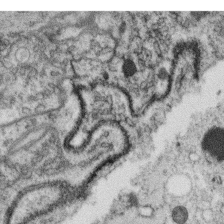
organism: C. elegans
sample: C. elegans oocyte; sperm cells